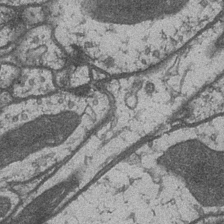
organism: Drosophila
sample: Optic medulla